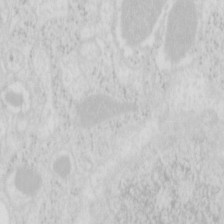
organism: Mouse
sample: Pancreas